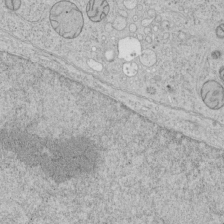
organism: Human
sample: Mitochondria in HCT116 cells